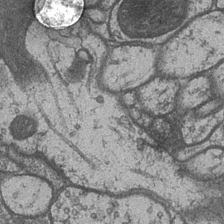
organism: Drosophila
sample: Optic medulla